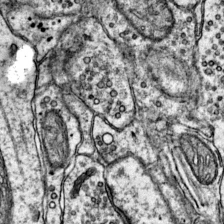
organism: Mouse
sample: Primary visual cortex